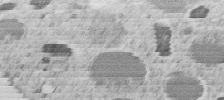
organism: C. elegans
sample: C. elegans embryo early stage